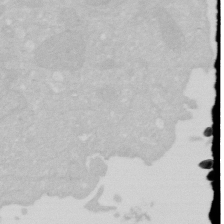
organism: Human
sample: HIV infected U937 cells